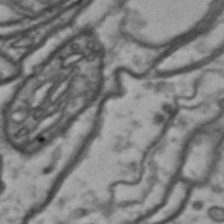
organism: Drosophila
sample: Brain